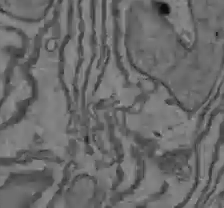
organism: C57BL Mouse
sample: Liver